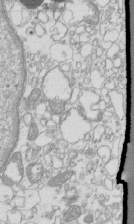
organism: Mouse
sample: Macrophages